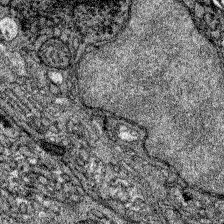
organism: Zebrafish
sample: Larval olfactory bulb